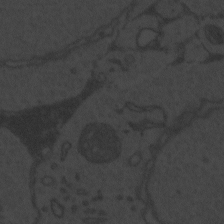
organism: Zebrafish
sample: Macrophage infected with Toxoplasma gondii